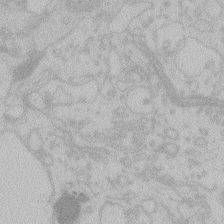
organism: Zebrafish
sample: Macrophage infected with Toxoplasma gondii